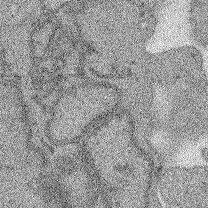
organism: Human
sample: HeLa cells